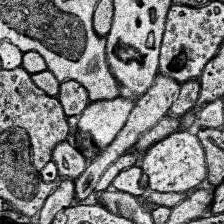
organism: Human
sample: Temporal Lobe